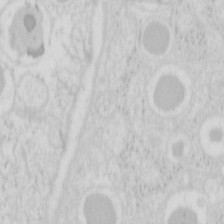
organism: Mouse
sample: Pancreas